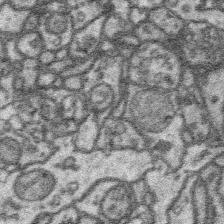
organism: Platynereis dumerilii